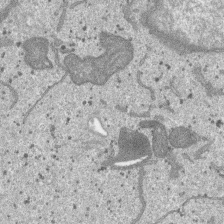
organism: Human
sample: Lung epithelial cells infected with SARS-CoV-2